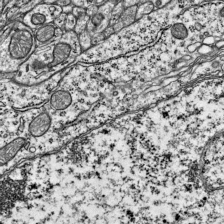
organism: Mouse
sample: Visual Cortex